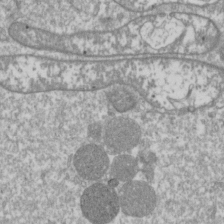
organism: Drosophila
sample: Cell division; meiosis; drosophila spermatocytes